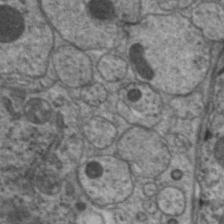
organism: C. elegans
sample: Pharynx